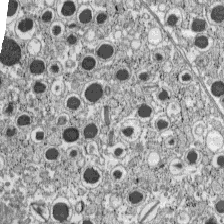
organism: C57BL Mouse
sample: Pancreatic islet